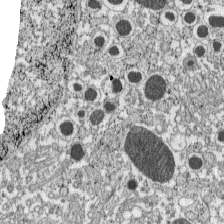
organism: C57BL Mouse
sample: Pancreatic islet